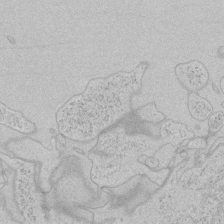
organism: Human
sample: Mitochondria in HCT116 cells